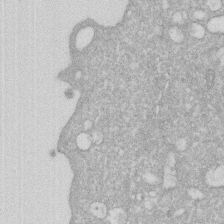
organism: Human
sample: HIV infected U937 cells